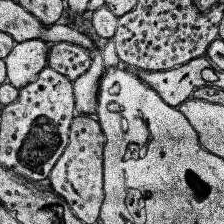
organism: Human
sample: Temporal Lobe